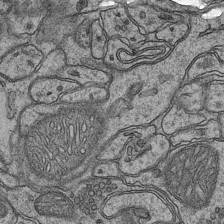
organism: Mouse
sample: CA1 Hippocampus